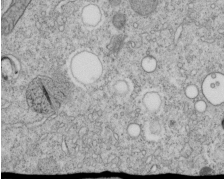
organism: C. elegans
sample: C. elegans embryo early stage